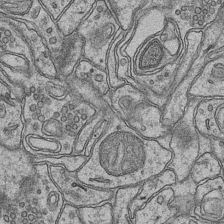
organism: Mouse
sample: CA1 Hippocampus